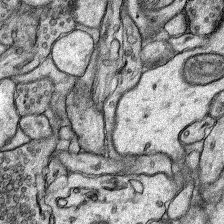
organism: Rat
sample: Hippocampus